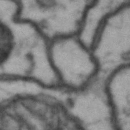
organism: Drosophila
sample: Brain